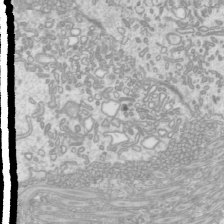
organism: Mouse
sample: Cilia; mouse epididymis